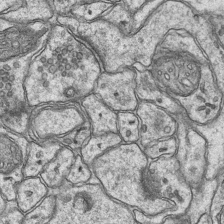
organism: Mouse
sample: CA1 Hippocampus